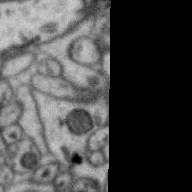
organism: Zebra finch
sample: Brain